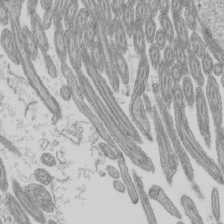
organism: Mouse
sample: Cilia; mouse epididymis